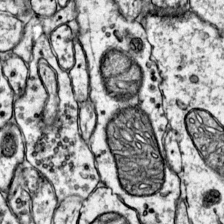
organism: Mouse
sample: Primary visual cortex